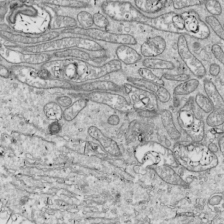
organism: Drosophila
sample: Cell division; meiosis; drosophila spermatocytes